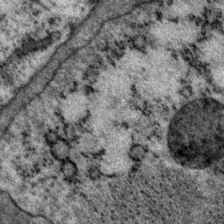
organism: P. pacificus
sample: Pharynx